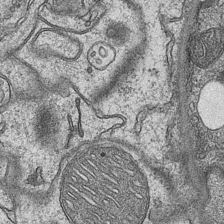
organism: Mouse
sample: CA1 Hippocampus